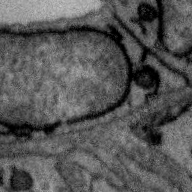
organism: Zebra finch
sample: Brain